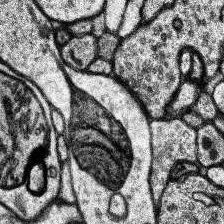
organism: Human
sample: Temporal Lobe